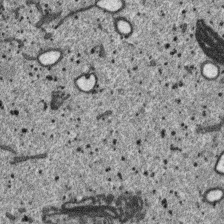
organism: Human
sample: Lung epithelial cells infected with SARS-CoV-2